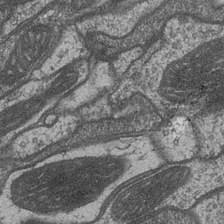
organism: Drosophila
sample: Optic medulla